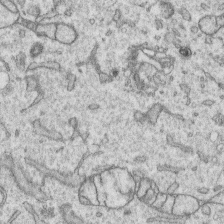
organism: Human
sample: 1205lu cells